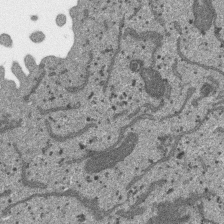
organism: Human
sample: Lung epithelial cells infected with SARS-CoV-2